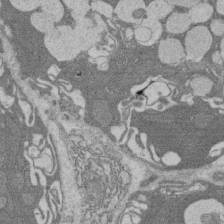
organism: Rat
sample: Salivary granule